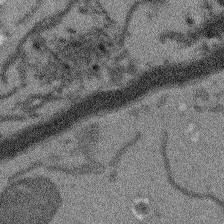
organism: Arabidopsis thaliana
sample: Root tip